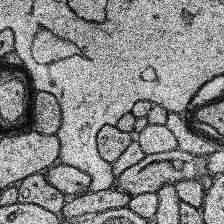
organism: Human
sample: Temporal Lobe